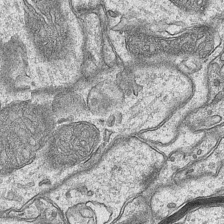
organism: Mouse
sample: CA1 Hippocampus